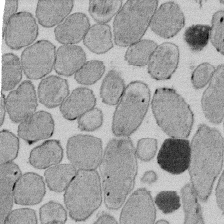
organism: E. coli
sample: Bacterial nucleoid